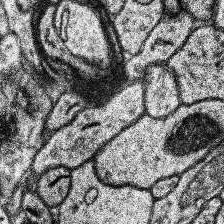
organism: Human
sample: Temporal Lobe